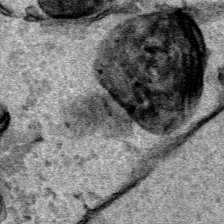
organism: Human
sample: Mitochondria in HCT116 cells